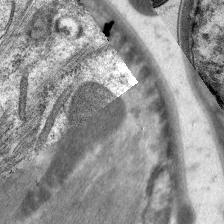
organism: C. elegans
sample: Pharynx